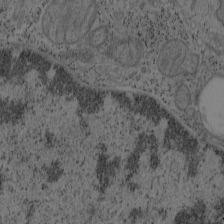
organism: Mouse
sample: OT-I killer T cells with ID8 ovarian cancer cells